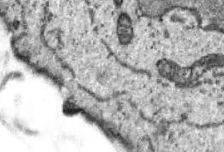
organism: Human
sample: HeLa cells